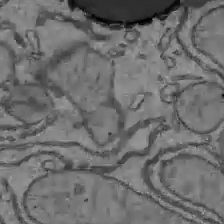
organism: C57BL Mouse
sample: Liver